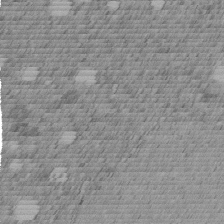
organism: C. elegans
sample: C. elegans embryo early stage